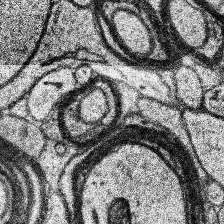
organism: Human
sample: Temporal Lobe